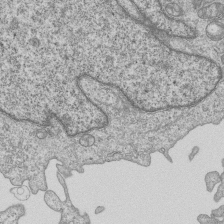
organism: Human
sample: MDA-MB-231 cells